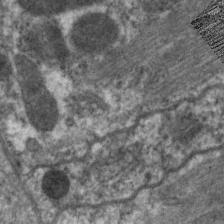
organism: C. elegans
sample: Pharynx